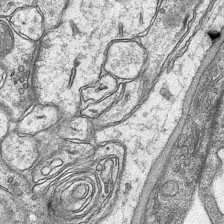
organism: Mouse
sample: CA1 Hippocampus